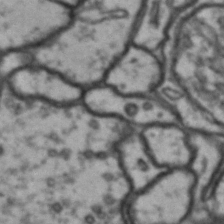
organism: Drosophila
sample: Brain